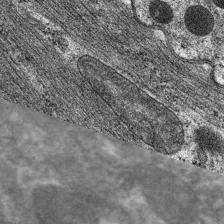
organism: C. elegans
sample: Pharynx